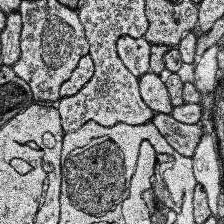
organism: Human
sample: Temporal Lobe